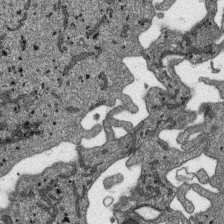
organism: Human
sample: Lung epithelial cells infected with SARS-CoV-2